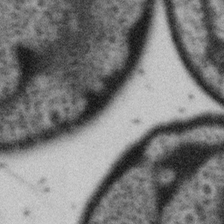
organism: Gemmata obscuriglobus